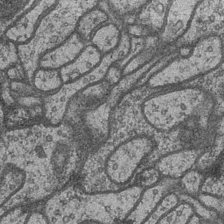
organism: Drosophila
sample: Optic medulla